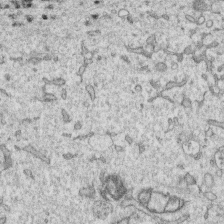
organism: Human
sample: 1205lu cells